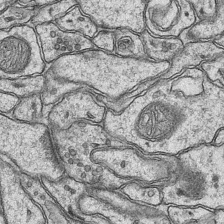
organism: Mouse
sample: CA1 Hippocampus